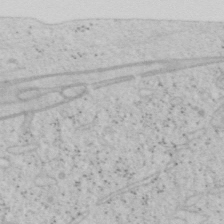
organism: Human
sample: HeLa cells